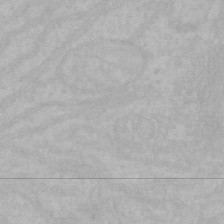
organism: Mouse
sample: Choroid plexus